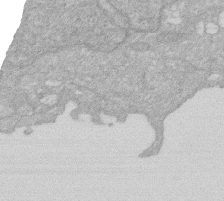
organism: Human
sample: HIV infected U937 cells